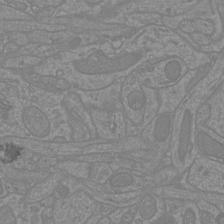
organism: Mouse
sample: Cortical neurons